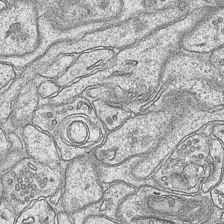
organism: Mouse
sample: CA1 Hippocampus